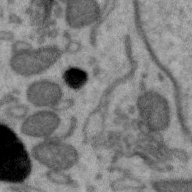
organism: Zebra finch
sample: Brain